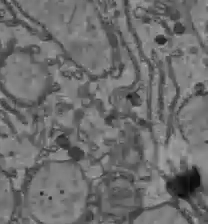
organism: C57BL Mouse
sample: Liver